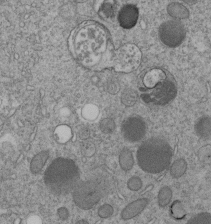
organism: C. elegans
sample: C. elegans embryo early stage